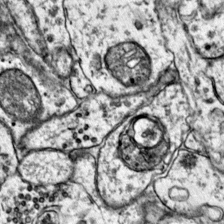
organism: Mouse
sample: Primary visual cortex